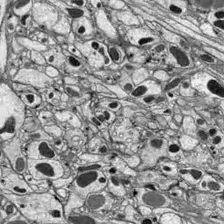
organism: Drosophila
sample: Optic lobe